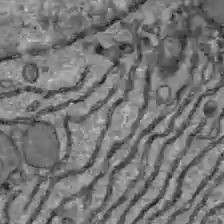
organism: C57BL Mouse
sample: Liver